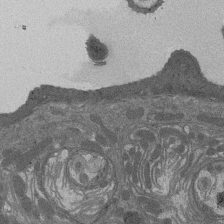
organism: Drosophila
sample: Antenna